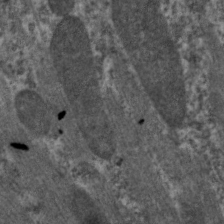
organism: C. elegans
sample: Pharynx